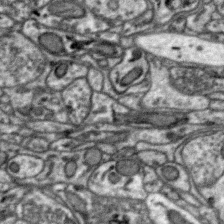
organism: Zebra finch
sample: Brain